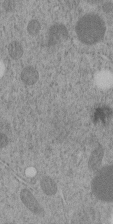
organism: C. elegans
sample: C. elegans embryo early stage